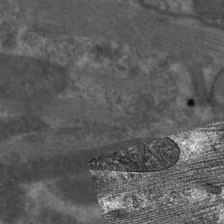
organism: C. elegans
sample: Pharynx